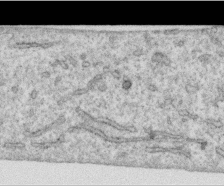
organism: Human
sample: Centriole in RPE cells